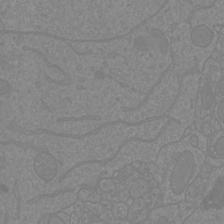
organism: Mouse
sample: Cortical neurons